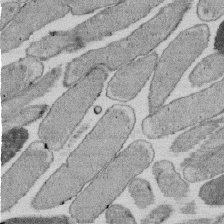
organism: E. coli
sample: Bacterial nucleoid